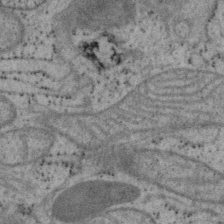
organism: Human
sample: HeLa cells